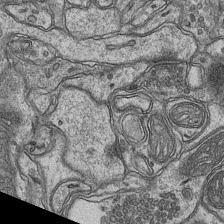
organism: Mouse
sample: CA1 Hippocampus